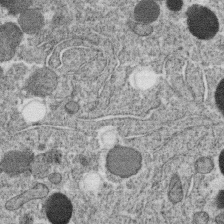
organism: C. elegans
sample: C. elegans oocyte; sperm cells